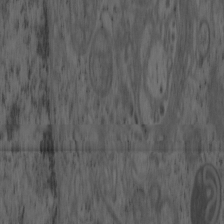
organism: Human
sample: HeLa cells